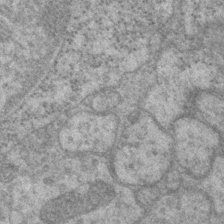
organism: P. pacificus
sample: Pharynx